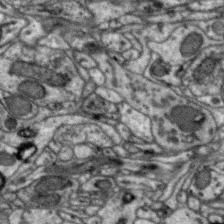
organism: Zebra finch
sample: Brain